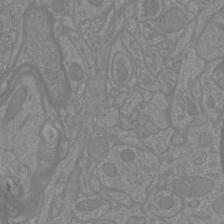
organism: Mouse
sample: Cortical neurons